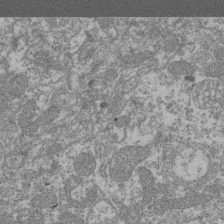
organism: Mouse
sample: Glomerulus